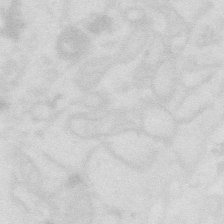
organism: Human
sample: HeLa cells